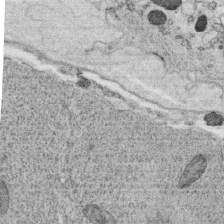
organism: C. elegans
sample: C. elegans oocyte; sperm cells